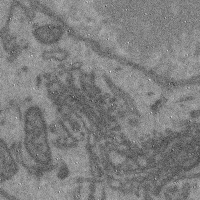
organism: Mouse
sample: Cerebral cortex